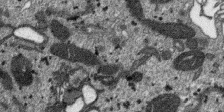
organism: Human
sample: Lung epithelial cells infected with SARS-CoV-2